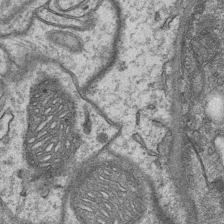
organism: Mouse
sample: CA1 Hippocampus